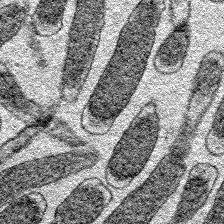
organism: E. coli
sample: E. Coli Bacteria